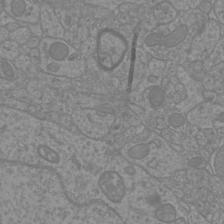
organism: Mouse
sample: Cortical neurons